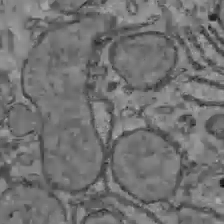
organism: C57BL Mouse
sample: Liver